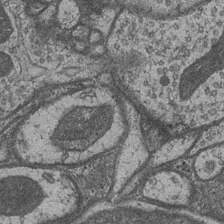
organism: Drosophila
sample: Optic medulla